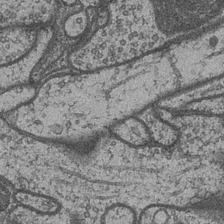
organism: Drosophila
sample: Optic medulla